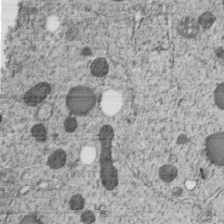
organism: C. elegans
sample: C. elegans embryo early stage